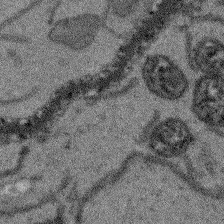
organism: Arabidopsis thaliana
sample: Root tip